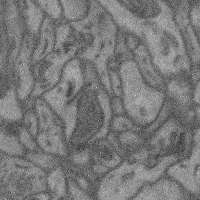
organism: Mouse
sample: Cerebral cortex